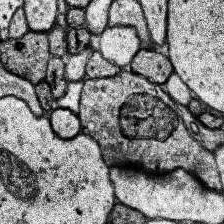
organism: Human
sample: Temporal Lobe